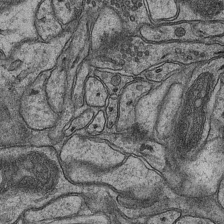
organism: Mouse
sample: CA1 Hippocampus